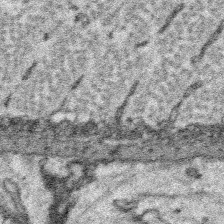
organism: Platynereis dumerilii